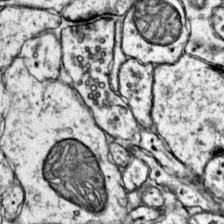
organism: Mouse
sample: Primary visual cortex